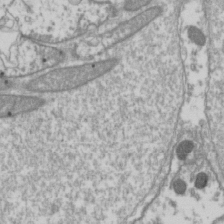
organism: Drosophila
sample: Cell division; meiosis; drosophila spermatocytes